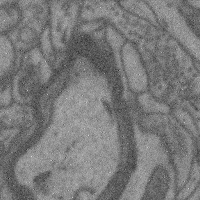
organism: Mouse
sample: Cerebral cortex